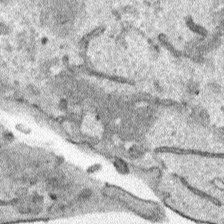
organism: Human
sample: Mitochondria in HCT116 cells